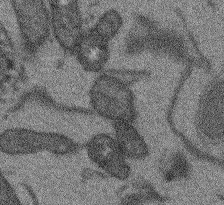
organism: Arabidopsis thaliana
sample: Root tip